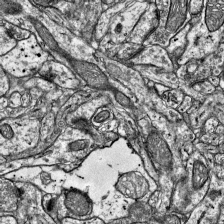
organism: Mouse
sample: Visual Cortex